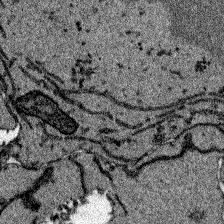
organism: Zebrafish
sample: Larval olfactory bulb